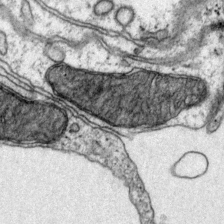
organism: Mouse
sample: Primary visual cortex